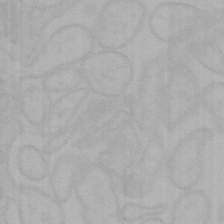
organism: Mouse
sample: Choroid plexus